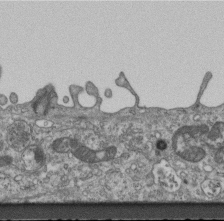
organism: Mouse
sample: Centriole in ependymal cells